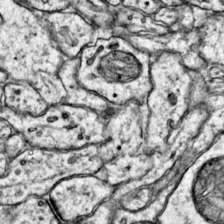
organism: Mouse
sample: Primary visual cortex